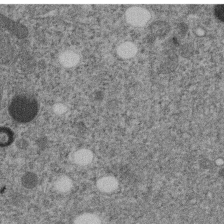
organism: C. elegans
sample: C. elegans embryo early stage